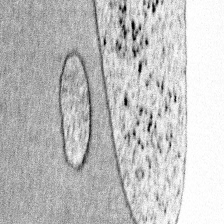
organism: Human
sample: HeLa cells